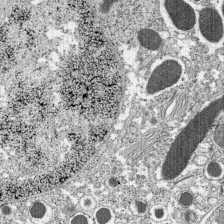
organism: C57BL Mouse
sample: Pancreatic islet